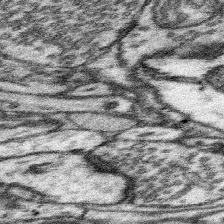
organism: Mouse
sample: Somatosensory cortex neuropil